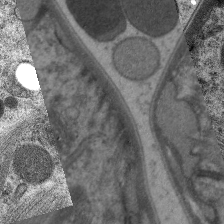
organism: C. elegans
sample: Pharynx